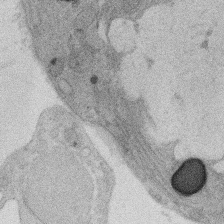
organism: Rat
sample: Salivary granule